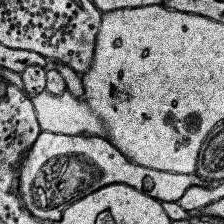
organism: Human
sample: Temporal Lobe